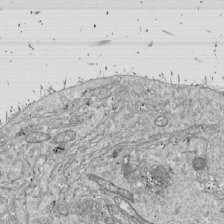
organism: Drosophila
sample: Cell division; meiosis; drosophila spermatocytes